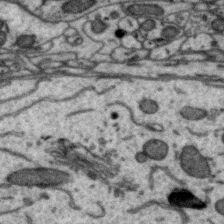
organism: Zebra finch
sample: Brain